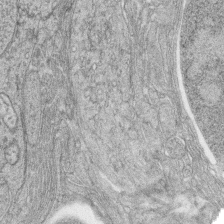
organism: Zebrafish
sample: synaptic ribbons in rod cells and cone cells